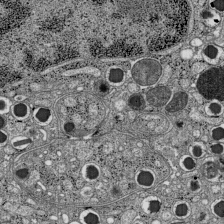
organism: C57BL Mouse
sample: Pancreatic islet